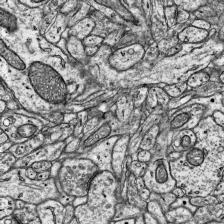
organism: Mouse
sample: Visual Cortex